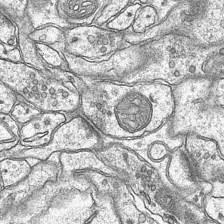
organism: Mouse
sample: CA1 Hippocampus